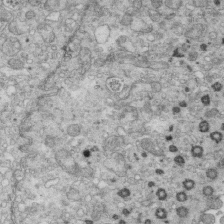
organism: Mouse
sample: Multiciliated cells